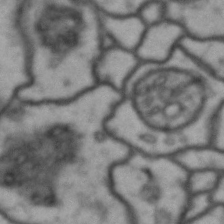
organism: Drosophila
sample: Brain